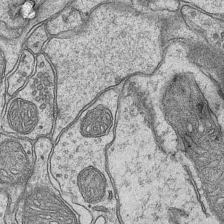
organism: Mouse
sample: CA1 Hippocampus